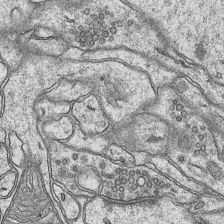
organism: Mouse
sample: CA1 Hippocampus